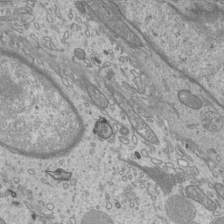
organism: Mouse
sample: Cilia; mouse epididymis